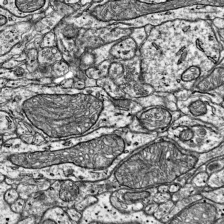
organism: Mouse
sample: Visual Cortex